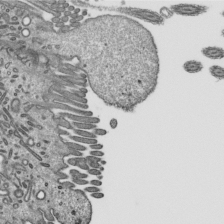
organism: Mouse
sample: Mouse epididymis efferent ductule cilia